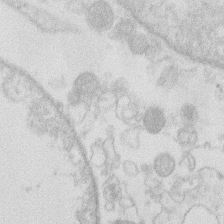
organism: Human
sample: Macrophage cells